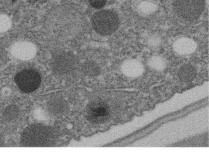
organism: C. elegans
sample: C. elegans embryo early stage